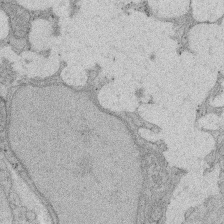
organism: Rat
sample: Salivary granule